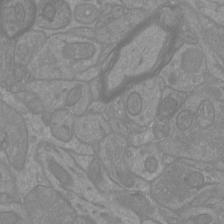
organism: Mouse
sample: Cortical neurons